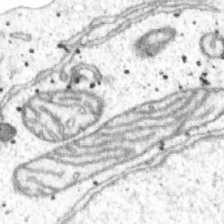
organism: Human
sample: HeLa cells